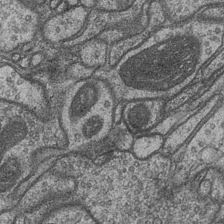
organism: Drosophila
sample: Optic medulla